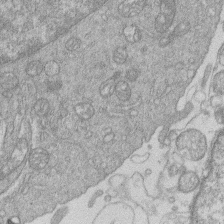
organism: Human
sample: Macrophage cells